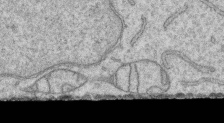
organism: Human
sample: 1205lu cells